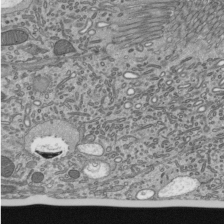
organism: Mouse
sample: Mouse epididymis efferent ductule cilia